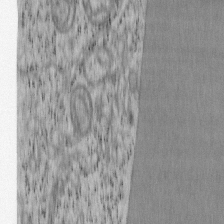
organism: Human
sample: HeLa cells